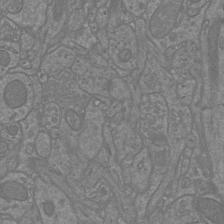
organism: Mouse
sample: Cortical neurons